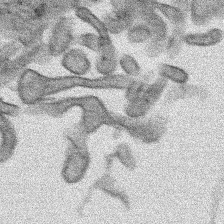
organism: Human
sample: Mitochondria in HCT116 cells